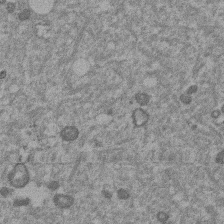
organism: Mouse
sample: Dividing mouse embryo 1 cell stage